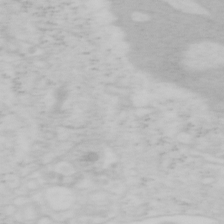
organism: Mouse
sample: OT-I killer T cells with ID8 ovarian cancer cells